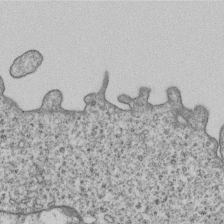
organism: Human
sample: MDA-MB-231 cells